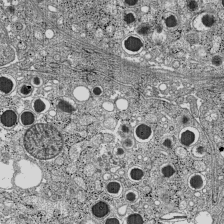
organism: C57BL Mouse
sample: Pancreatic islet